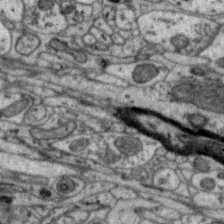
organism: Zebra finch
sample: Brain